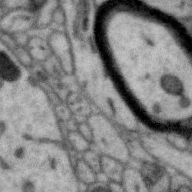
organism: Zebra finch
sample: Brain